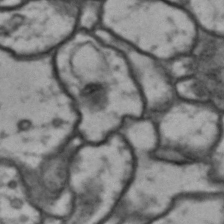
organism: Drosophila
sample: Brain